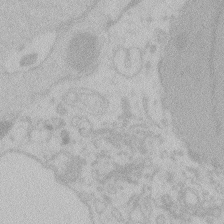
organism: Zebrafish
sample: Macrophage infected with Toxoplasma gondii